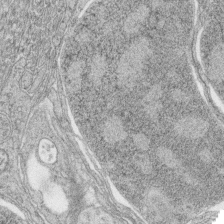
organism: Zebrafish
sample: synaptic ribbons in rod cells and cone cells